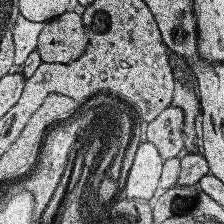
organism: Human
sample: Temporal Lobe